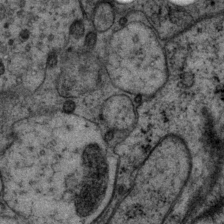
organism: P. pacificus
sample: Pharynx